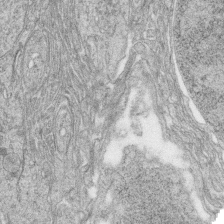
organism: Zebrafish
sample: synaptic ribbons in rod cells and cone cells